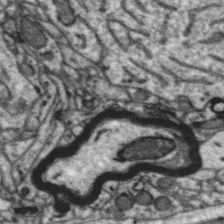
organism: Zebra finch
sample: Brain